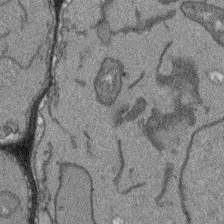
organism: Arabidopsis thaliana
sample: Root tip